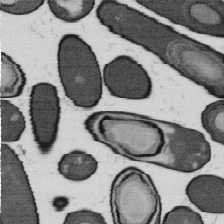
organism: B. subtilis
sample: Bacterial spore